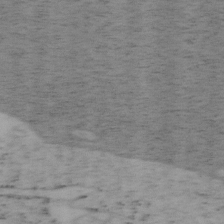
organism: Mouse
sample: OT-I killer T cells with ID8 ovarian cancer cells